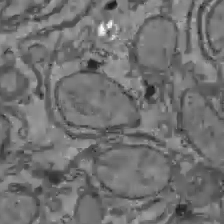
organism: C57BL Mouse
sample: Liver